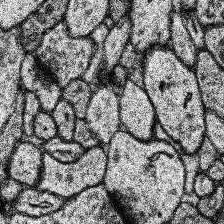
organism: Human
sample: Temporal Lobe